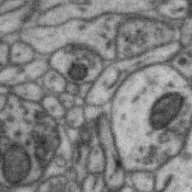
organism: Zebra finch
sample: Brain